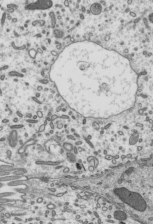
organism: Mouse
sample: Mouse epididymis efferent ductule cilia